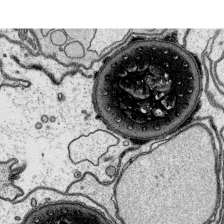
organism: Platynereis dumerilii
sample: Parapodia